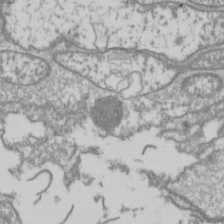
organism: Drosophila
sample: Cell division; meiosis; drosophila spermatocytes